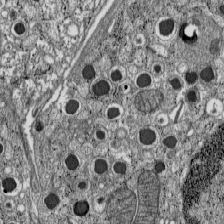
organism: C57BL Mouse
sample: Pancreatic islet